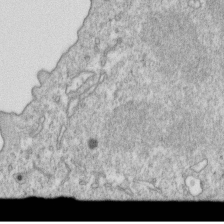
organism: Mouse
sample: Activated OT-1 CD8+ T cells